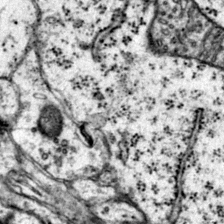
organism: Mouse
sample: Primary visual cortex